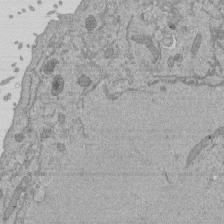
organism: Mouse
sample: ED-1 cell nuclei; centrioles